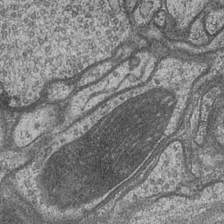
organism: Drosophila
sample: Optic medulla